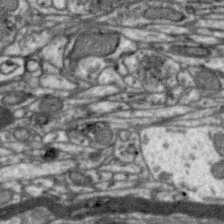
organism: Zebra finch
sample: Brain